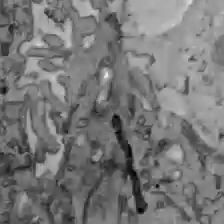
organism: C57BL Mouse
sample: Liver